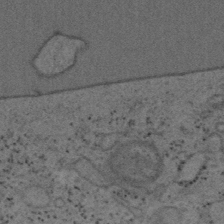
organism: Human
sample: HeLa cells